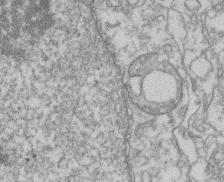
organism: Mouse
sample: T cell stromal cell synapse